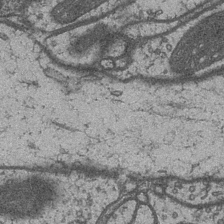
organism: Drosophila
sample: Optic medulla